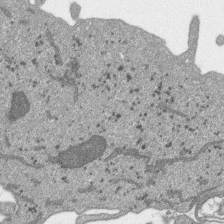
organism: Human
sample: Lung epithelial cells infected with SARS-CoV-2